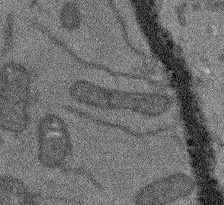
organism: Arabidopsis thaliana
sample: Root tip